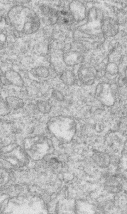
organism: Human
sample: HeLa cell HIV synapse